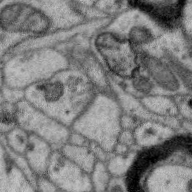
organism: Zebra finch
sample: Brain